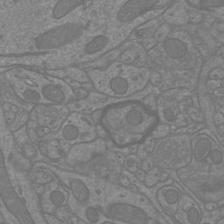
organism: Mouse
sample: Cortical neurons